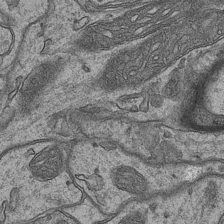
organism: Mouse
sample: CA1 Hippocampus